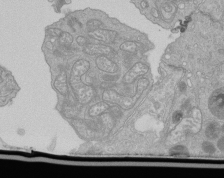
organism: Human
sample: Retinal organoid Rod and Cone cells